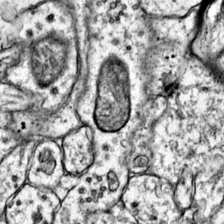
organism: Mouse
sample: Primary visual cortex